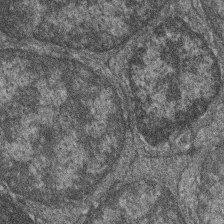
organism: Zebrafish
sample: Cilia; retinal pigment epithelium